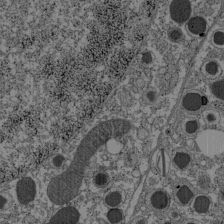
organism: C57BL Mouse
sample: Pancreatic islet